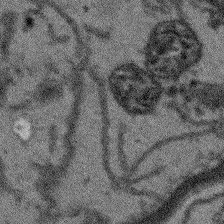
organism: Arabidopsis thaliana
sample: Root tip